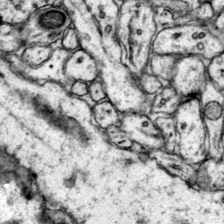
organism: Mouse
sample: Primary visual cortex